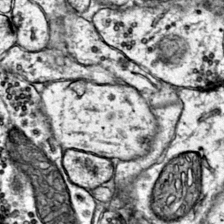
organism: Mouse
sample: Primary visual cortex